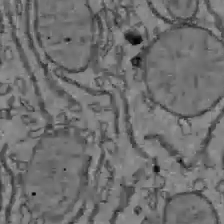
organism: C57BL Mouse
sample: Liver